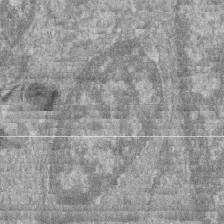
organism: Zebrafish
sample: Cilia; retinal pigment epithelium